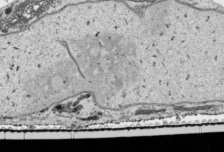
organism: Human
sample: Mitochondria in HCT116 cells